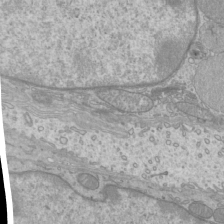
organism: Mouse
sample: Cilia; mouse epididymis